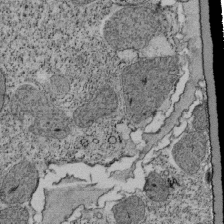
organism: Tetrahymena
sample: Cilia in tetrahymena